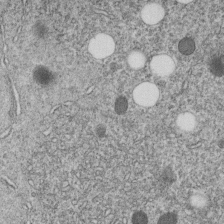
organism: C. elegans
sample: C. elegans embryo early stage